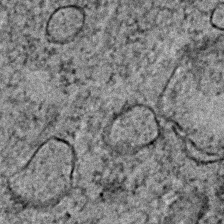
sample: Trachea